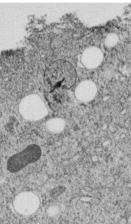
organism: C. elegans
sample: C. elegans embryo early stage